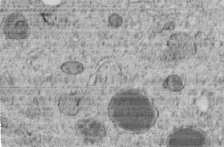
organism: C. elegans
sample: C. elegans embryo early stage